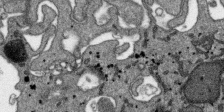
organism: Human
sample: Lung epithelial cells, uninfected (mock) control